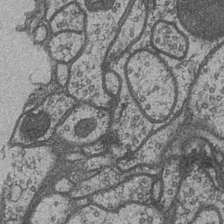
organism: Drosophila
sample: Optic medulla